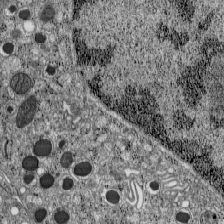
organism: C57BL Mouse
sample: Pancreatic islet